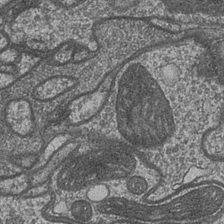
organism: Drosophila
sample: Optic medulla